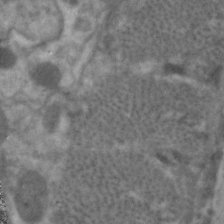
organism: C. elegans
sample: Pharynx